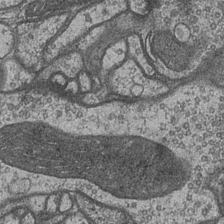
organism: Drosophila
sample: Optic medulla